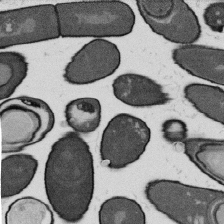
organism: B. subtilis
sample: Bacterial spore